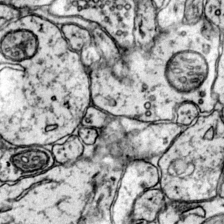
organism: Mouse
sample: Primary visual cortex